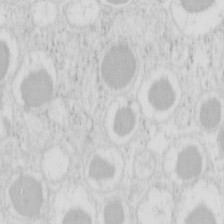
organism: Mouse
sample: Pancreas